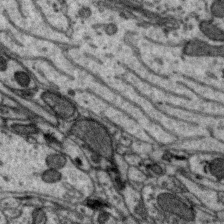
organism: Zebra finch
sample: Brain